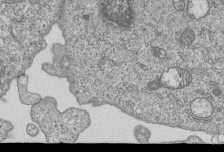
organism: Human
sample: MDA-MB-231 cells